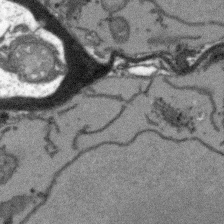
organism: Arabidopsis thaliana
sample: Root tip